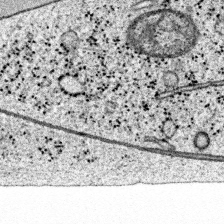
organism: Human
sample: HeLa cells